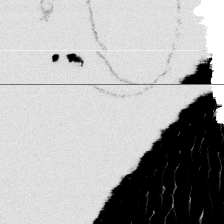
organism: Platynereis dumerilii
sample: Parapodia